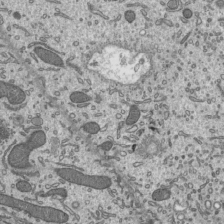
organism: Mouse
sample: Mouse epididymis efferent ductule cilia